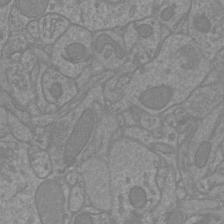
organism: Mouse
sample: Cortical neurons